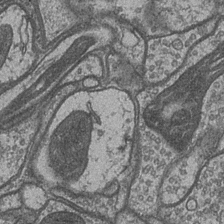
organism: Drosophila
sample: Optic medulla